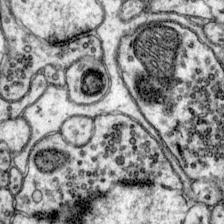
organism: Mouse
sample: Primary visual cortex